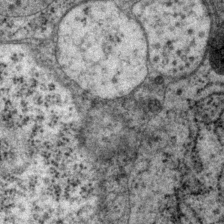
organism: P. pacificus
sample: Pharynx